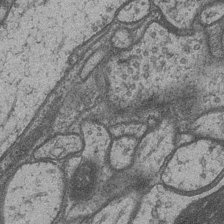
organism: Drosophila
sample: Optic medulla